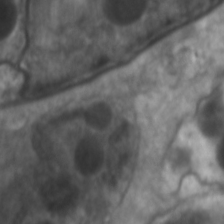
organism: C. elegans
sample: Pharynx